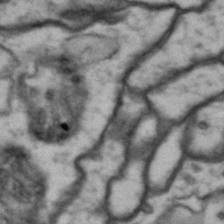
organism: Drosophila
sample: Brain